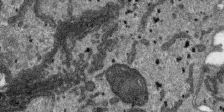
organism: Human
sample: Lung epithelial cells, uninfected (mock) control